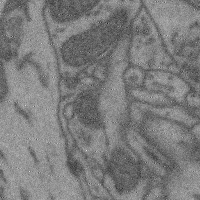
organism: Mouse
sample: Cerebral cortex